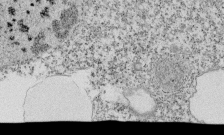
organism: Tetrahymena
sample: Cilia in tetrahymena